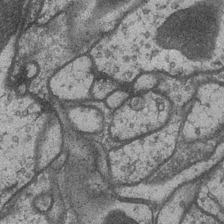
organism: Drosophila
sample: Optic medulla